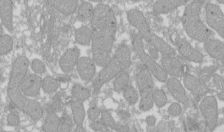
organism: Xenopus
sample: Cilia; centrioles in frog embryo cells